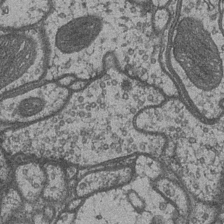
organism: Drosophila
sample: Optic medulla